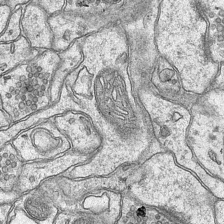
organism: Mouse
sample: CA1 Hippocampus